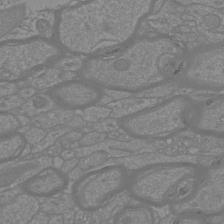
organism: Mouse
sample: Cortical neurons